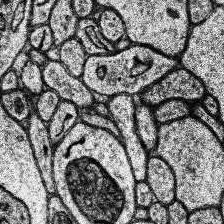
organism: Human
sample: Temporal Lobe